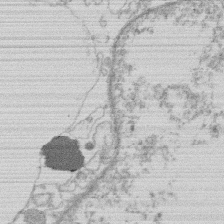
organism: Human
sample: Macrophage cells